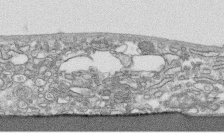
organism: Human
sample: CRL-1474